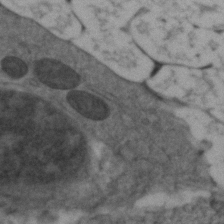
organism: Zebrafish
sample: Zebrafish embryo